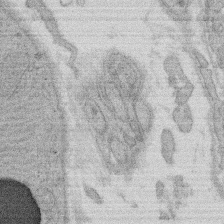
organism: Rat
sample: Salivary granule